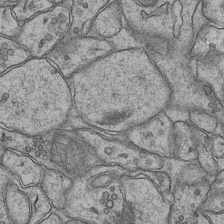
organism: Mouse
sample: CA1 Hippocampus